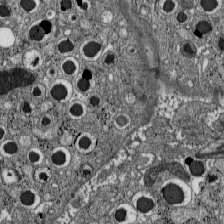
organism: C57BL Mouse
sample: Pancreatic islet